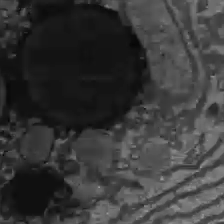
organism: C57BL Mouse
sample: Liver